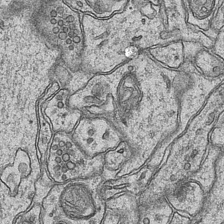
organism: Mouse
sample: CA1 Hippocampus